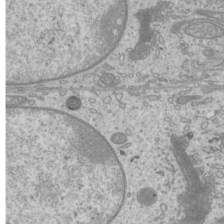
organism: Mouse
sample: Cilia; mouse epididymis